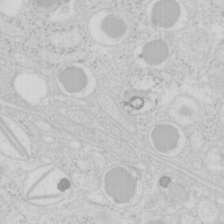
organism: Mouse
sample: Pancreas